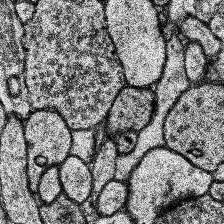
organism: Human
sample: Temporal Lobe